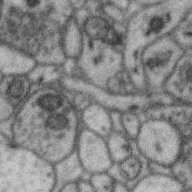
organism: Zebra finch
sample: Brain